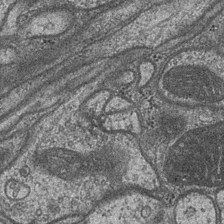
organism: Drosophila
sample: Optic medulla